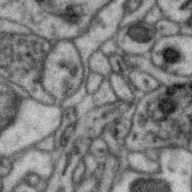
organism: Zebra finch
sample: Brain